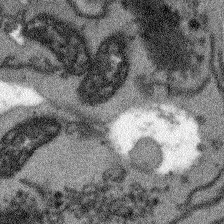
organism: Arabidopsis thaliana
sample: Root tip